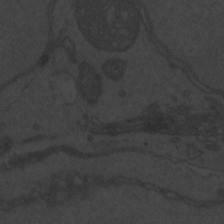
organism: Zebrafish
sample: Macrophage infected with Toxoplasma gondii